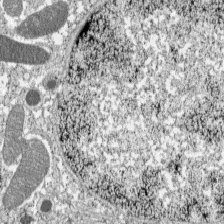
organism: C57BL Mouse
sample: Pancreatic islet